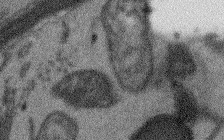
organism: Arabidopsis thaliana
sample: Root tip